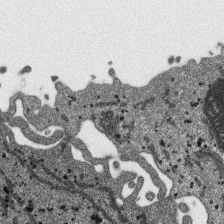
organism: Human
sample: Lung epithelial cells infected with SARS-CoV-2